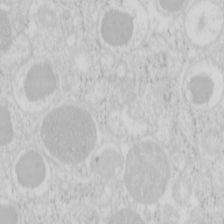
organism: Mouse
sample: Pancreas